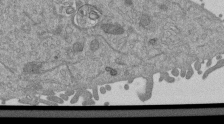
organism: Mouse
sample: ED-1 cell nuclei; centrioles